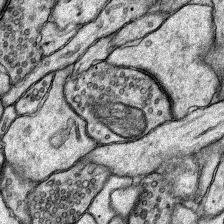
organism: Rat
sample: Hippocampus